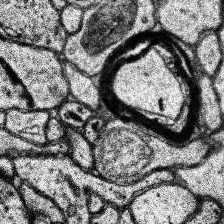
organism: Human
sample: Temporal Lobe